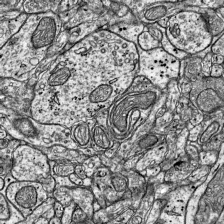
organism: Mouse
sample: Visual Cortex